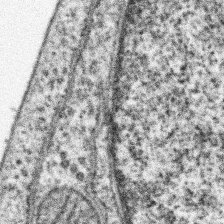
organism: Human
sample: HeLa cells